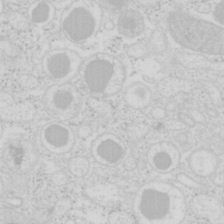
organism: Mouse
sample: Pancreas